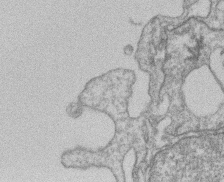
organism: Mouse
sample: T cell stromal cell synapse